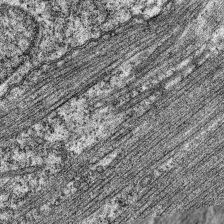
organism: C. elegans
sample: Pharynx